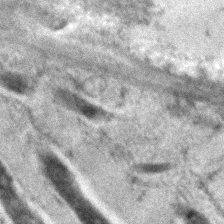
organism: C. elegans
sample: C. elegans embryo